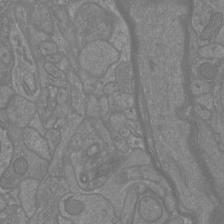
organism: Mouse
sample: Cortical neurons